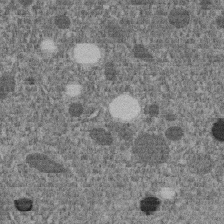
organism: C. elegans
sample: C. elegans embryo early stage